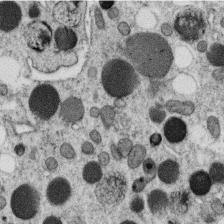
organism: C. elegans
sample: C. elegans oocyte; sperm cells